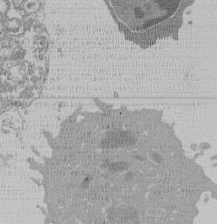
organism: Mouse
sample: Activated Pmel transgenic CD8+ T Cells